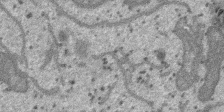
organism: Human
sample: Lung epithelial cells infected with SARS-CoV-2